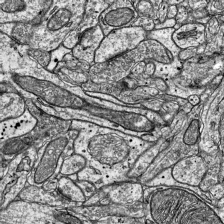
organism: Mouse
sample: Visual Cortex